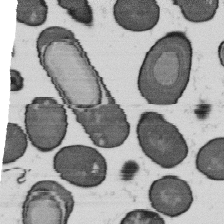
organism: B. subtilis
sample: Bacterial spore